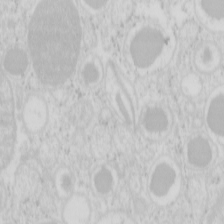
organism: Mouse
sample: Pancreas